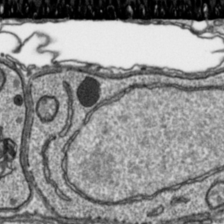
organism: Toxoplasma gondii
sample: Parasites in a vacuole inside a host cell